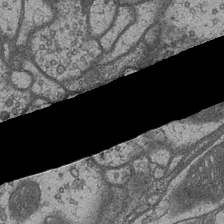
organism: Drosophila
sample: Optic medulla